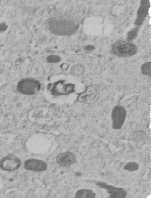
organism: C. elegans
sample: C. elegans embryo early stage